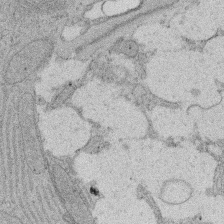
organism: Rat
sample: Salivary granule